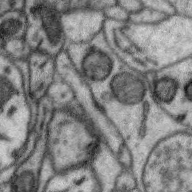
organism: Zebra finch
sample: Brain